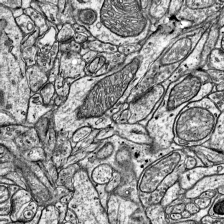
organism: Mouse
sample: Visual Cortex